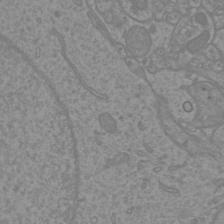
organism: Mouse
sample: Cortical neurons